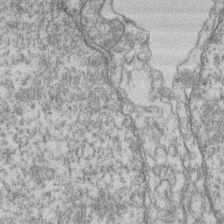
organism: Mouse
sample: T cell stromal cell synapse